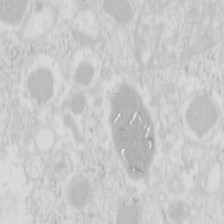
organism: Mouse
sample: Pancreas